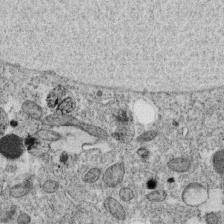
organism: C. elegans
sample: C. elegans oocyte; sperm cells